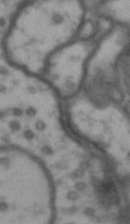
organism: Drosophila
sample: Brain